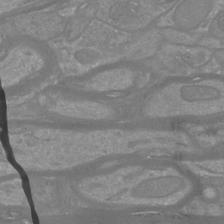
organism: Mouse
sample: Cortical neurons